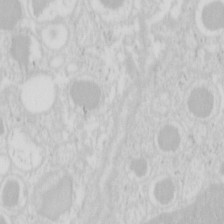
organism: Mouse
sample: Pancreas